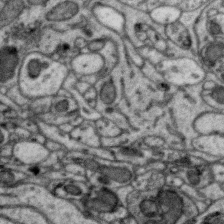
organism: Zebra finch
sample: Brain